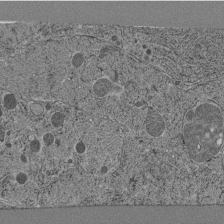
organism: C. elegans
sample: C. elegans pharynx